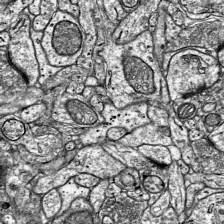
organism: Mouse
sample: Visual Cortex